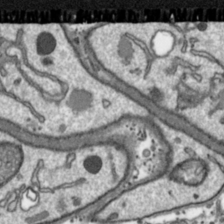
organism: Toxoplasma gondii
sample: Parasites in a vacuole inside a host cell